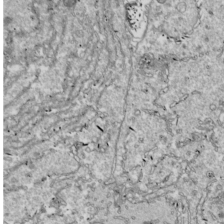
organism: Drosophila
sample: Cell division; meiosis; drosophila spermatocytes